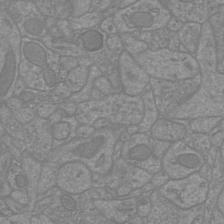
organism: Mouse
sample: Cortical neurons